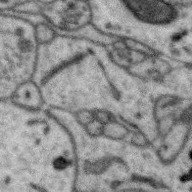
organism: Zebra finch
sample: Brain